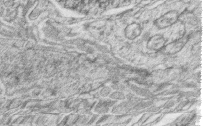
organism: Zebrafish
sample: synaptic ribbons in rod cells and cone cells